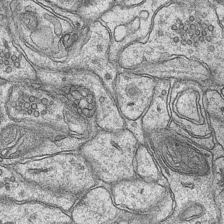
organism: Mouse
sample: CA1 Hippocampus